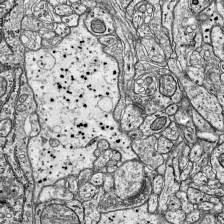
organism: Mouse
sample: Visual Cortex